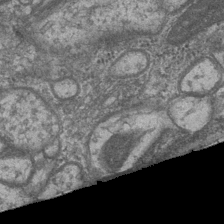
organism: Drosophila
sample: Optic medulla